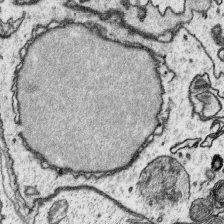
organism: Platynereis dumerilii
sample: Parapodia